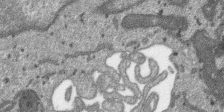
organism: Human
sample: Lung epithelial cells infected with SARS-CoV-2